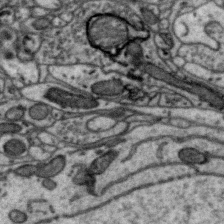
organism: Zebra finch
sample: Brain